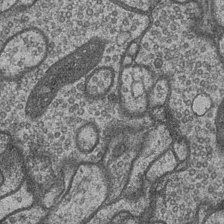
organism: Drosophila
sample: Optic medulla